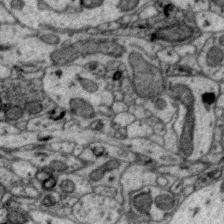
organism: Zebra finch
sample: Brain